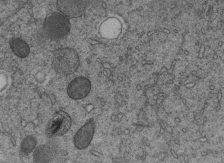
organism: C. elegans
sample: C. elegans embryo early stage